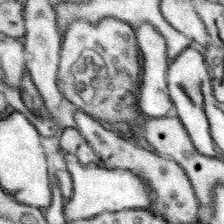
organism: Mouse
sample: Somatosensory cortex neuropil